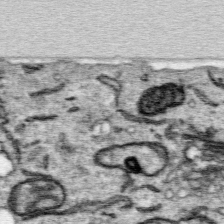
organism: Human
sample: HeLa cells